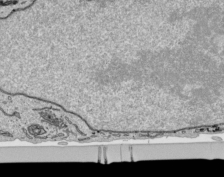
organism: Human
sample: Mitochondria in HCT116 cells